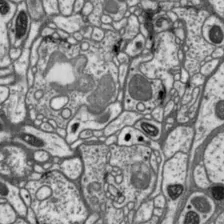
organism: Drosophila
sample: Protocerebral bridge